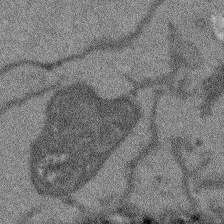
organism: Arabidopsis thaliana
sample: Root tip